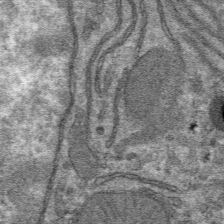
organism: Mouse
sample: Mouse hepatocytes